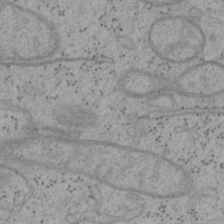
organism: Human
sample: HeLa cells